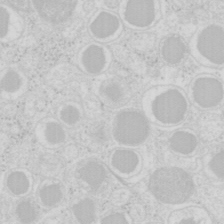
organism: Mouse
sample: Pancreas